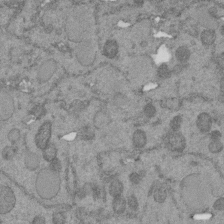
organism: C. elegans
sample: C. elegans embryo early stage